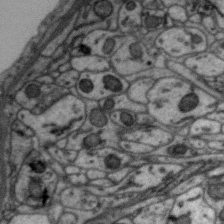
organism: Zebra finch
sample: Brain